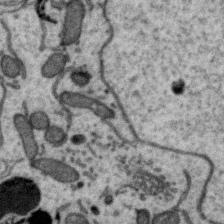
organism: Zebra finch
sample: Brain